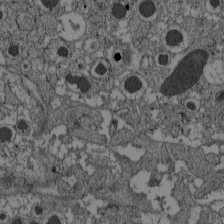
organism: C57BL Mouse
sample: Pancreatic islet